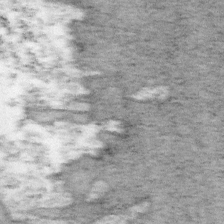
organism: Mouse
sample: OT-I killer T cells with ID8 ovarian cancer cells